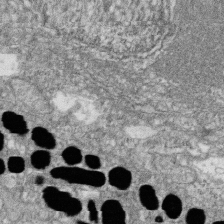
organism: Zebrafish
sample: Cilia; retinal pigment epithelium